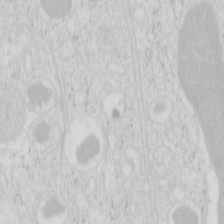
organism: Mouse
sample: Pancreas